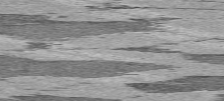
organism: C57BL Mouse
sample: Heart